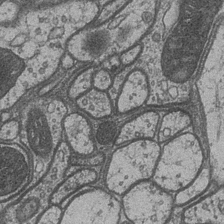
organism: Drosophila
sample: Optic medulla